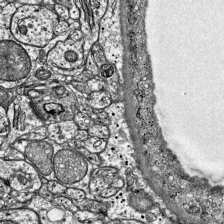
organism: Mouse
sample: Visual Cortex